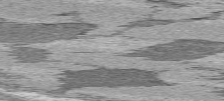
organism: C57BL Mouse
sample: Heart